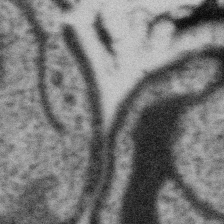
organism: Gemmata obscuriglobus